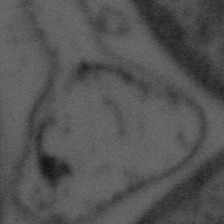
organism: Tuwongella immobilis